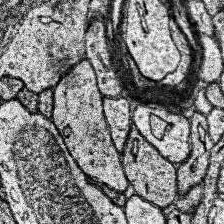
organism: Human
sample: Temporal Lobe